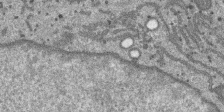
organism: Human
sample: Lung epithelial cells infected with SARS-CoV-2